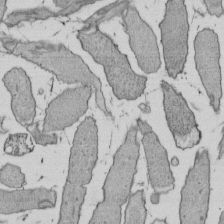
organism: E. coli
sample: Bacterial nucleoid